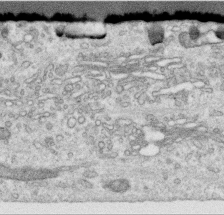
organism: Human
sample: Centriole in RPE cells